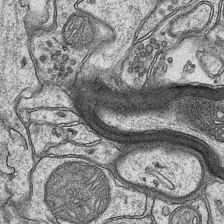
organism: Mouse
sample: CA1 Hippocampus